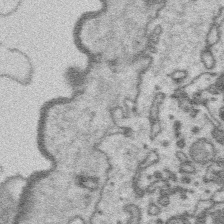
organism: Platynereis dumerilii